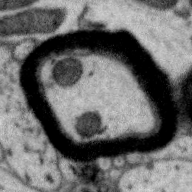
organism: Zebra finch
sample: Brain